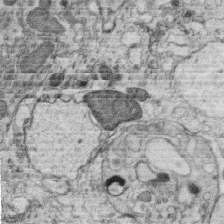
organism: C. elegans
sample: C. elegans oocyte; sperm cells